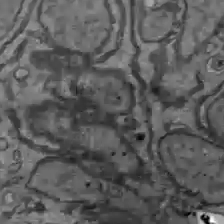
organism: C57BL Mouse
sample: Liver